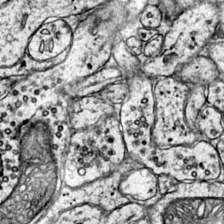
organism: Mouse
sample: Primary visual cortex